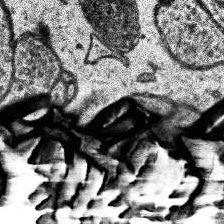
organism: Human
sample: Temporal Lobe